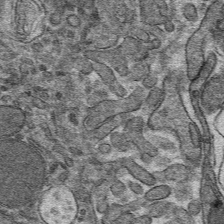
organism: Mouse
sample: Mouse hepatocytes